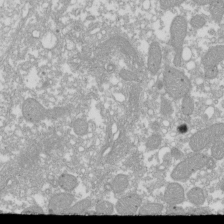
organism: Xenopus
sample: Cilia; centrioles in frog embryo cells